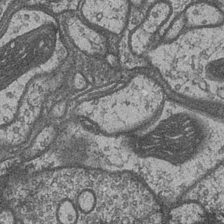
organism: Drosophila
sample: Optic medulla